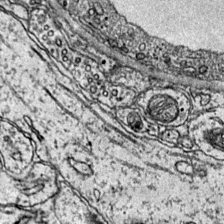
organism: Mouse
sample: Primary visual cortex